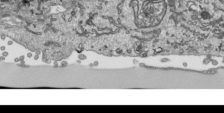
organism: Human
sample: Mitochondria in HCT116 cells